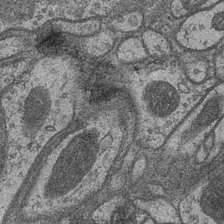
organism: Drosophila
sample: Optic medulla